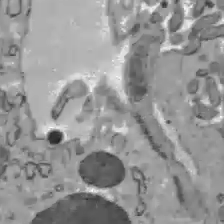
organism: C57BL Mouse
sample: Liver